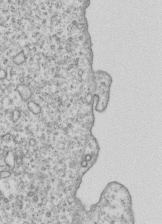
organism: Human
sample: MDA-MB-231 cells